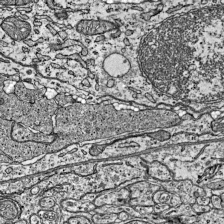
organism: Mouse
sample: Visual Cortex